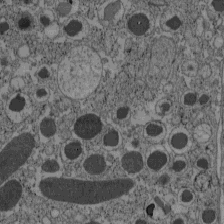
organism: C57BL Mouse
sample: Pancreatic islet